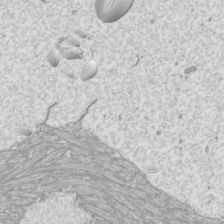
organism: Mouse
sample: Cilia; mouse epididymis